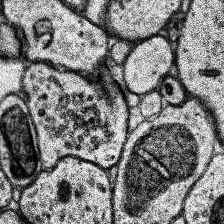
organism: Human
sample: Temporal Lobe